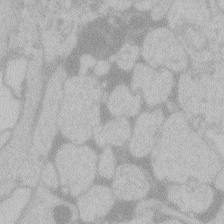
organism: Zebrafish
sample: Macrophage infected with Toxoplasma gondii